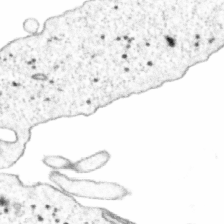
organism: Human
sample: HeLa cells